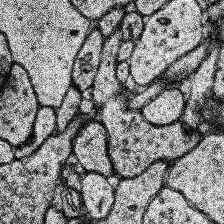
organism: Human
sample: Temporal Lobe